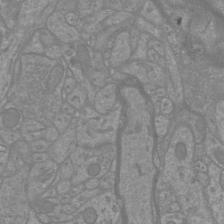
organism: Mouse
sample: Cortical neurons